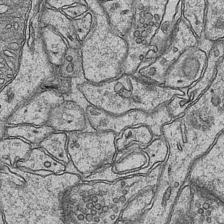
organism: Mouse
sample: CA1 Hippocampus